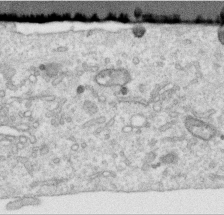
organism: Human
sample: Centriole in RPE cells